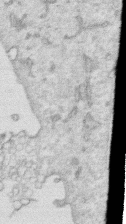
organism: Human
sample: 1205lu cells